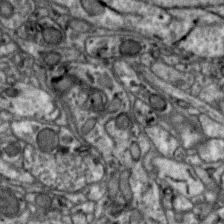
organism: Zebra finch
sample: Brain